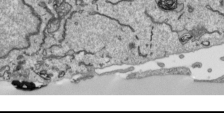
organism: Human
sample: Mitochondria in HCT116 cells